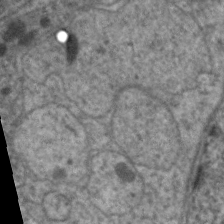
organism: C. elegans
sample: Pharynx